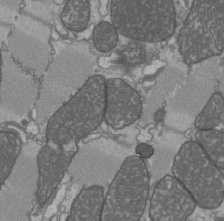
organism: C57BL Mouse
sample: Heart